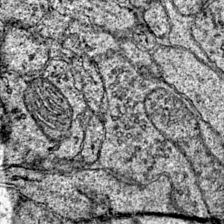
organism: Mouse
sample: Primary visual cortex